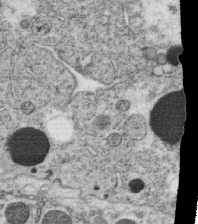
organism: C. elegans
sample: C. elegans oocyte; sperm cells